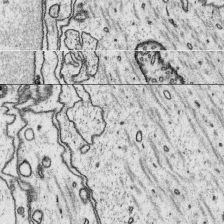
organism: Platynereis dumerilii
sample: Parapodia